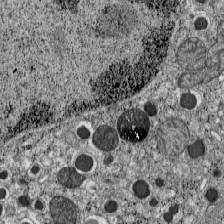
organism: C57BL Mouse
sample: Pancreatic islet